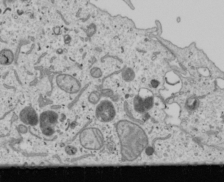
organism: Human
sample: Mitochondria in U2OS cells